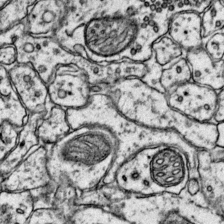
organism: Mouse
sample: Primary visual cortex